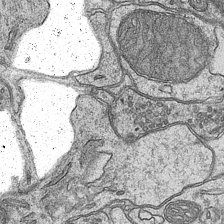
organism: Mouse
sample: CA1 Hippocampus